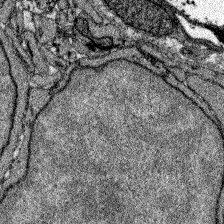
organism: Zebrafish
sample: Larval olfactory bulb